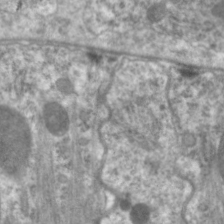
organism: C. elegans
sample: Pharynx